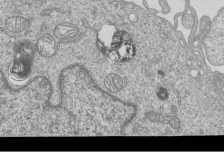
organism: Human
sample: MDA-MB-231 cells